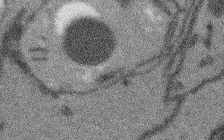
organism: Arabidopsis thaliana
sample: Root tip